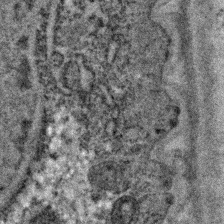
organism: C. elegans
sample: C. elegans embryo